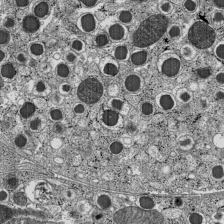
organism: C57BL Mouse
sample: Pancreatic islet